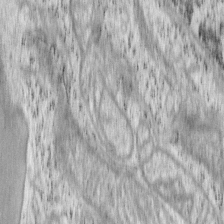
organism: Human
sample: HeLa cells